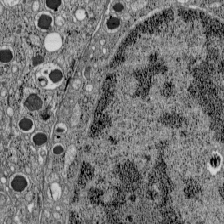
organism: C57BL Mouse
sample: Pancreatic islet